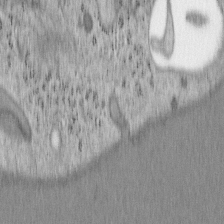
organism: Human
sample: HeLa cells